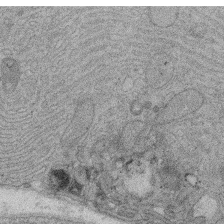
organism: Rat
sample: Salivary granule